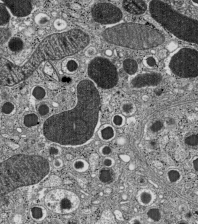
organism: C57BL Mouse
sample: Pancreatic islet